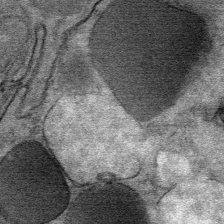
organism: Mouse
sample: Mouse Salivary gland